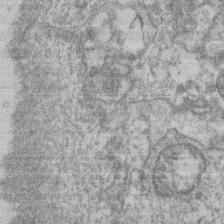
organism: Mouse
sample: T cell stromal cell synapse